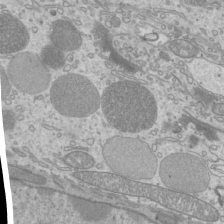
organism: Mouse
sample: Cilia; mouse epididymis